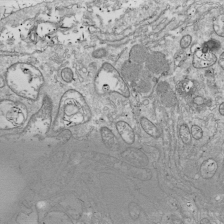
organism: Drosophila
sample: Cell division; meiosis; drosophila spermatocytes